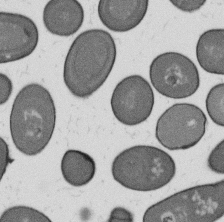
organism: B. subtilis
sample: Bacterial spore